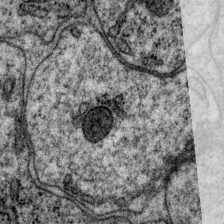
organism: P. pacificus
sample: Pharynx